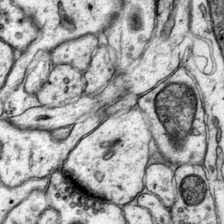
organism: Mouse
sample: Primary visual cortex